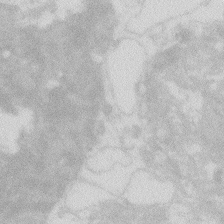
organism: Zebrafish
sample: Macrophage